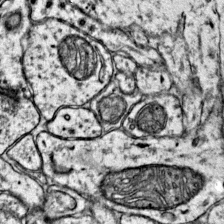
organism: Mouse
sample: Primary visual cortex